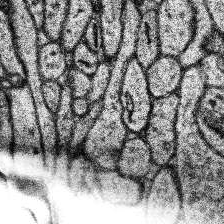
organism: Human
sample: Temporal Lobe